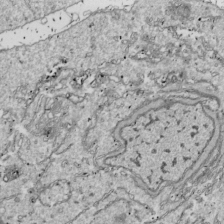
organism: Drosophila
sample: Cell division; meiosis; drosophila spermatocytes